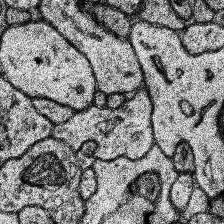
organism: Human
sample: Temporal Lobe